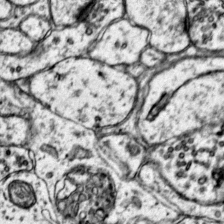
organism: Mouse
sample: Primary visual cortex